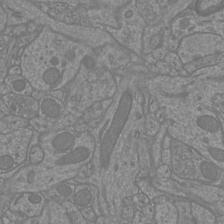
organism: Mouse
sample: Cortical neurons